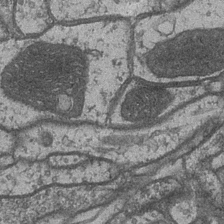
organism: Drosophila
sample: Optic medulla